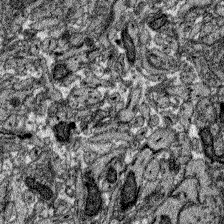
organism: Zebrafish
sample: Larval olfactory bulb